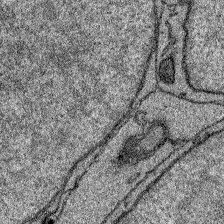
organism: Zebrafish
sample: Larval olfactory bulb